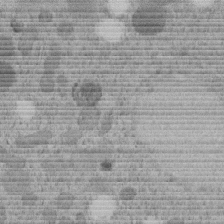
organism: C. elegans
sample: C. elegans embryo early stage